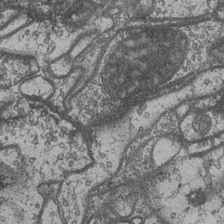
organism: Drosophila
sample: Optic medulla